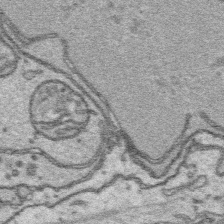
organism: Platynereis dumerilii